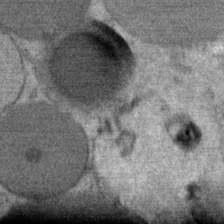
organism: Mouse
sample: Mouse Salivary gland